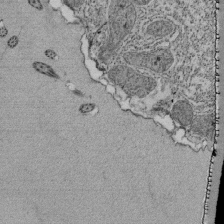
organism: Tetrahymena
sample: Cilia in tetrahymena